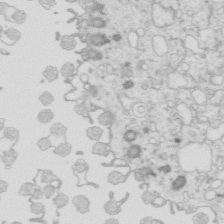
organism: Mouse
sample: Multiciliated cells